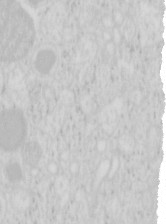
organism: Mouse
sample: Pancreas